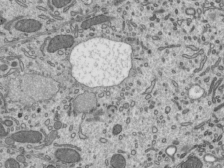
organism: Mouse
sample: Mouse epididymis efferent ductule cilia